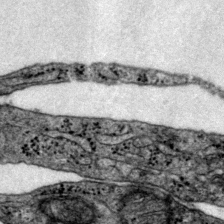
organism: Mouse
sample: Primary visual cortex